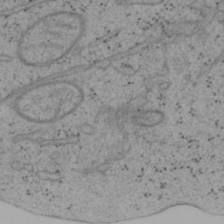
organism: Human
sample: HeLa cells